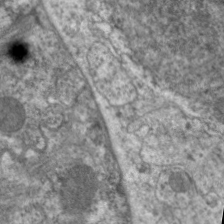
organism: C. elegans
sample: Pharynx